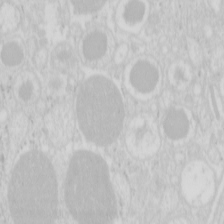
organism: Mouse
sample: Pancreas